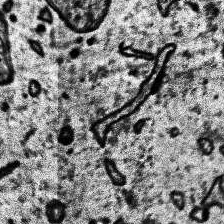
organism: Human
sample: Temporal Lobe